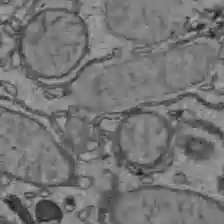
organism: C57BL Mouse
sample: Liver